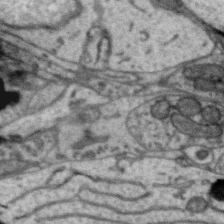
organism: Zebra finch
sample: Brain